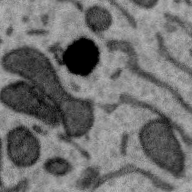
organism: Zebra finch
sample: Brain